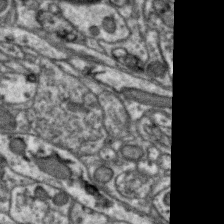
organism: Zebra finch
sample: Brain